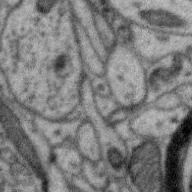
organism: Zebra finch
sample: Brain